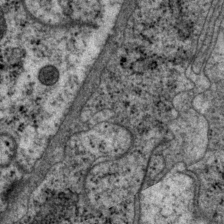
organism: P. pacificus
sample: Pharynx